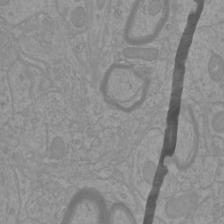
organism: Mouse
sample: Cortical neurons